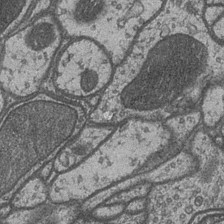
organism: Drosophila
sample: Optic medulla